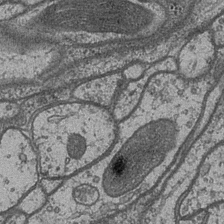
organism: Drosophila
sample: Optic medulla